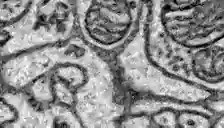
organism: Zebrafish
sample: Brain